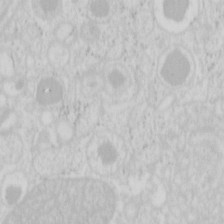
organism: Mouse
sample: Pancreas